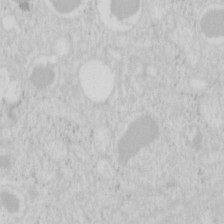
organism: Mouse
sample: Pancreas